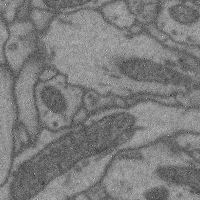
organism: Mouse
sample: Cerebral cortex